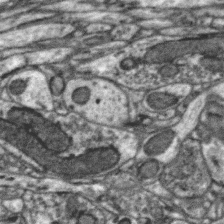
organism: Zebra finch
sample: Brain